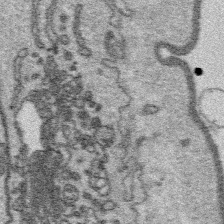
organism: Platynereis dumerilii